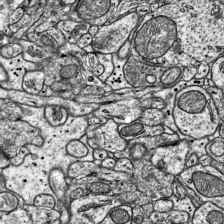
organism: Mouse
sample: Visual Cortex